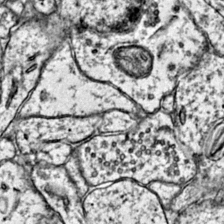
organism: Mouse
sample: Primary visual cortex